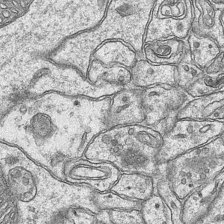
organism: Mouse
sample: CA1 Hippocampus